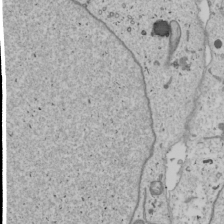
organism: Human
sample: Mitochondria in U2OS cells